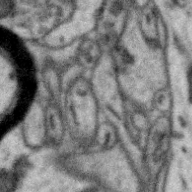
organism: Zebra finch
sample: Brain